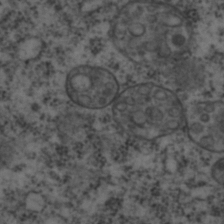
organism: C. elegans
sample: C. elegans embryo